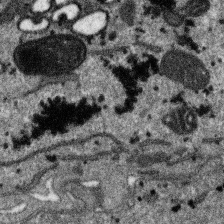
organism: Human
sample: Lung epithelial cells infected with SARS-CoV-2